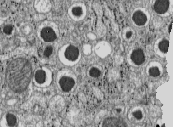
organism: C57BL Mouse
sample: Pancreatic islet